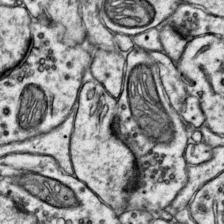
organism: Mouse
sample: Primary visual cortex